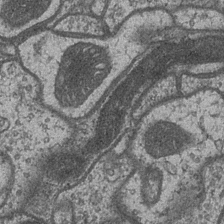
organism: Drosophila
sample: Optic medulla